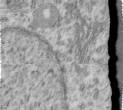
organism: Human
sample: Centriole in RPE cells